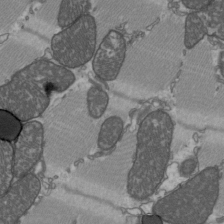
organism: C57BL Mouse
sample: Heart